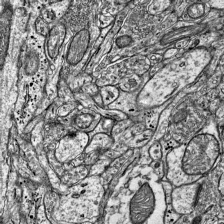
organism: Mouse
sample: Visual Cortex